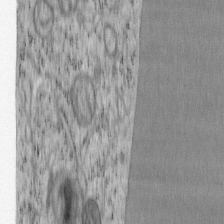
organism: Human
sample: HeLa cells